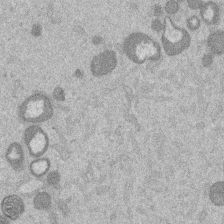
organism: Mouse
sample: Dividing mouse embryo 1 cell stage